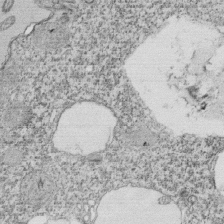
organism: Tetrahymena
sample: Cilia in tetrahymena